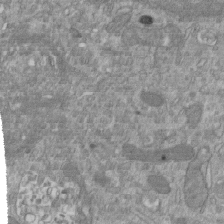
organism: Mouse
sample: ED-1 cell nuclei; centrioles